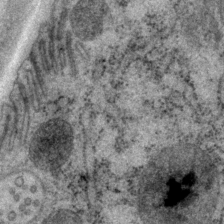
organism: P. pacificus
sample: Pharynx